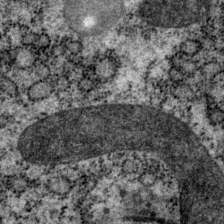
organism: P. pacificus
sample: Pharynx